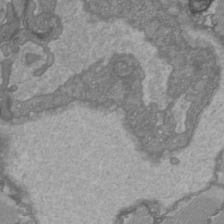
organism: C57BL Mouse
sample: Heart